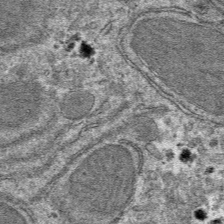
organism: Mouse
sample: Mouse hepatocytes